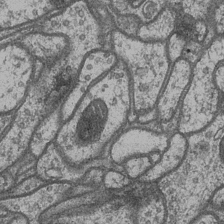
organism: Drosophila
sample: Optic medulla